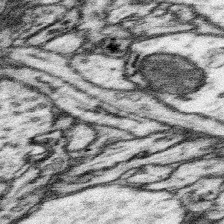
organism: Mouse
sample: Somatosensory cortex neuropil